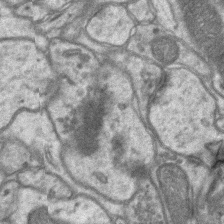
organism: Mouse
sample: CA1 Hippocampus